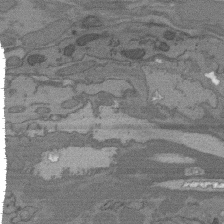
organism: C. elegans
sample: AFD neurons C. elegans